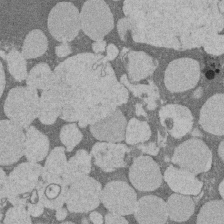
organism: Rat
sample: Salivary granule